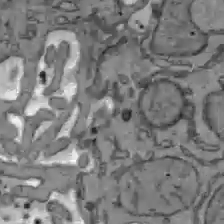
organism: C57BL Mouse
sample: Liver